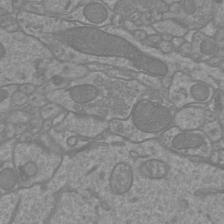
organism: Mouse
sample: Cortical neurons